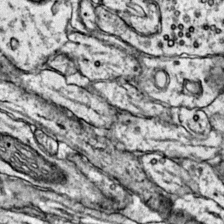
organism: Mouse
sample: Primary visual cortex